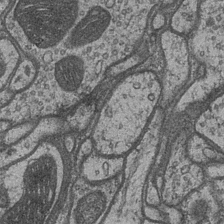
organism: Drosophila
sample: Optic medulla